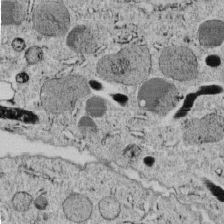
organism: C. elegans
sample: C. elegans embryo early stage